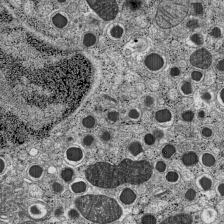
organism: C57BL Mouse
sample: Pancreatic islet